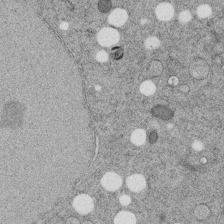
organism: C. elegans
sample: C. elegans embryo early stage